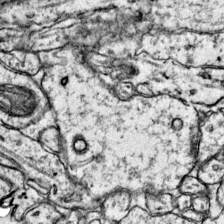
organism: Mouse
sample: Primary visual cortex